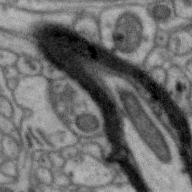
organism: Zebra finch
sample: Brain